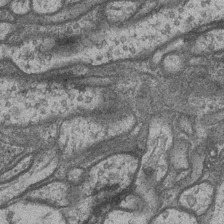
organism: Drosophila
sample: Optic medulla